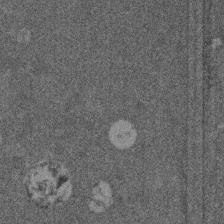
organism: Mouse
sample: Dividing mouse embryo 1 cell stage